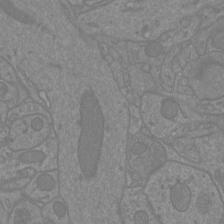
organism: Mouse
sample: Cortical neurons